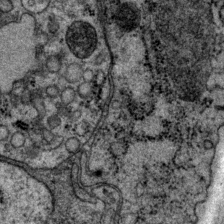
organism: P. pacificus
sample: Pharynx